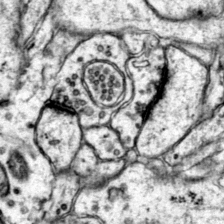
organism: Mouse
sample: Primary visual cortex